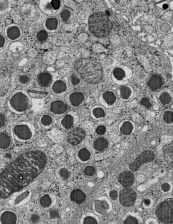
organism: C57BL Mouse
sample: Pancreatic islet